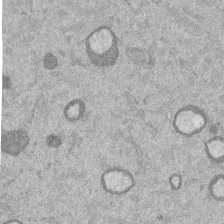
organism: Mouse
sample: Dividing mouse embryo 1 cell stage